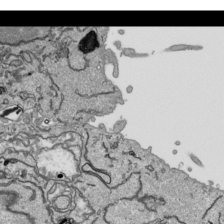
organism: Human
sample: Mitochondria in HCT116 cells